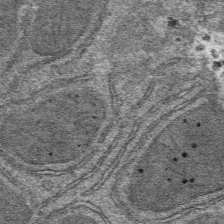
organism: Mouse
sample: Mouse hepatocytes